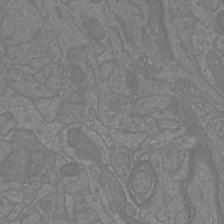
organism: Mouse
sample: Cortical neurons